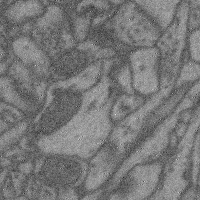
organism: Mouse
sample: Cerebral cortex